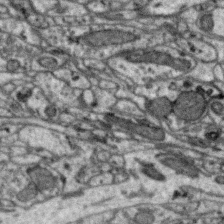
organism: Zebra finch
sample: Brain